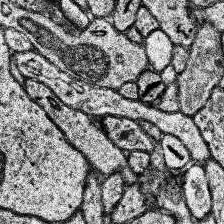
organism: Human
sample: Temporal Lobe